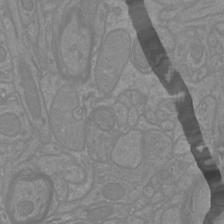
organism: Mouse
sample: Cortical neurons